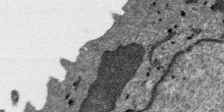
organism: Human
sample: Lung epithelial cells, uninfected (mock) control